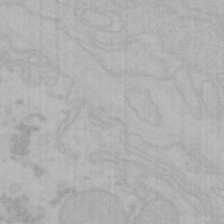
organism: Mouse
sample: Choroid plexus